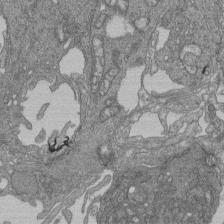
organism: Human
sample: Retinal organoid Rod and Cone cells